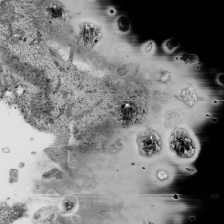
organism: Human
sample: Mitochondria in HCT116 cells